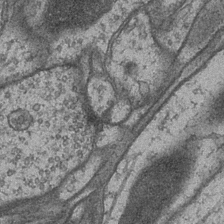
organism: Drosophila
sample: Optic medulla